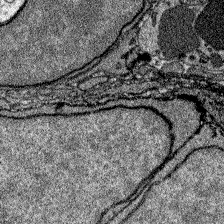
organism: Zebrafish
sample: Larval olfactory bulb